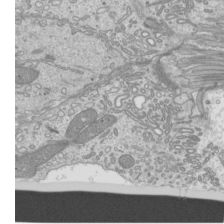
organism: Mouse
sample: Cilia; mouse epididymis